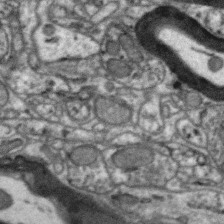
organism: Zebra finch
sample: Brain